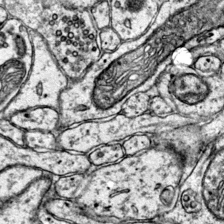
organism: Mouse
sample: Primary visual cortex